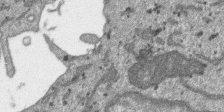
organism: Human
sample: Lung epithelial cells infected with SARS-CoV-2